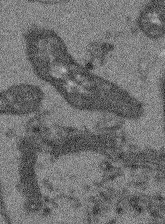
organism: Arabidopsis thaliana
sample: Root tip